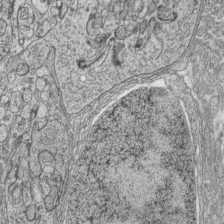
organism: Zebrafish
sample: synaptic ribbons in rod cells and cone cells